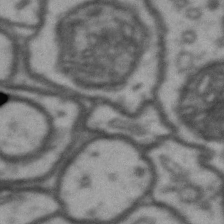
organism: Drosophila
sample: Brain